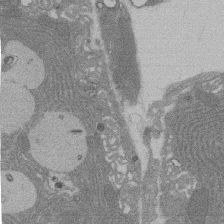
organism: Rat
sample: Salivary granule